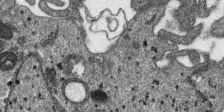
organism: Human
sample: Lung epithelial cells infected with SARS-CoV-2